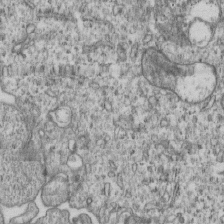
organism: Human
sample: MDA-MB-231 cells